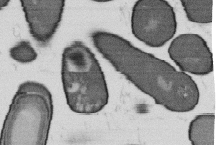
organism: B. subtilis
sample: Bacterial spore